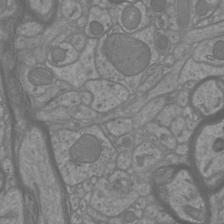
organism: Mouse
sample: Cortical neurons